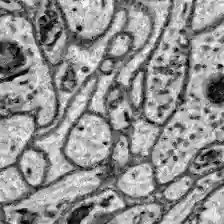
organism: Zebrafish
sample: Brain